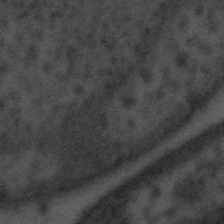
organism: Tuwongella immobilis